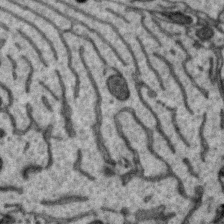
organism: Zebra finch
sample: Brain